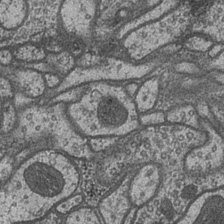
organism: Drosophila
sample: Optic medulla